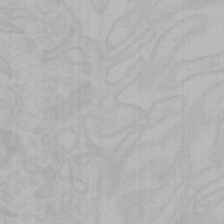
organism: Mouse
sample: Choroid plexus